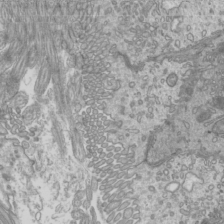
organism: Mouse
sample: Cilia; mouse epididymis